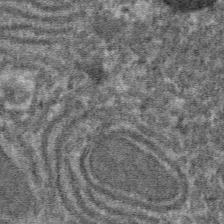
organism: Mouse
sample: Mouse hepatocytes